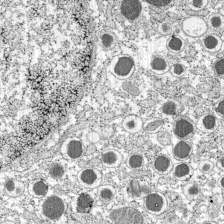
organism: C57BL Mouse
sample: Pancreatic islet